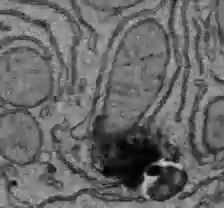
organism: C57BL Mouse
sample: Liver